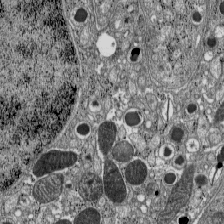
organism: C57BL Mouse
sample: Pancreatic islet